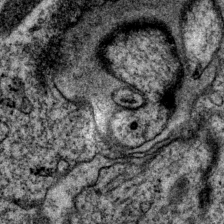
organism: P. pacificus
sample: Pharynx